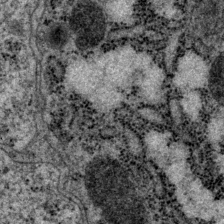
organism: P. pacificus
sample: Pharynx